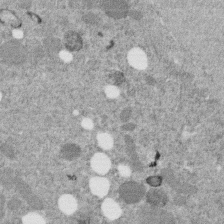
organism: C. elegans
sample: C. elegans embryo early stage